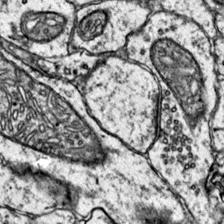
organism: Mouse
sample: Primary visual cortex